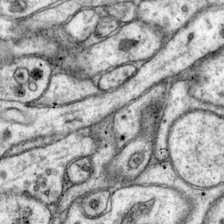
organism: Mouse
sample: Primary visual cortex